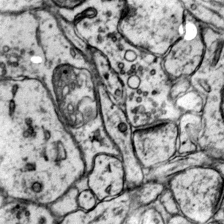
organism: Mouse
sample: Primary visual cortex